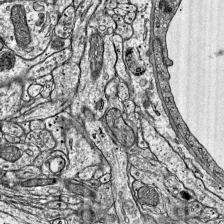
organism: Mouse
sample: Visual Cortex